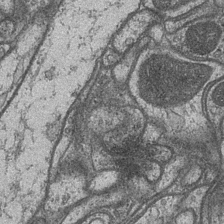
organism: Drosophila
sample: Optic medulla